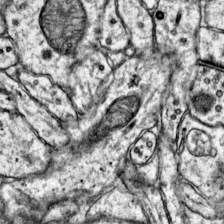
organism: Mouse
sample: Primary visual cortex